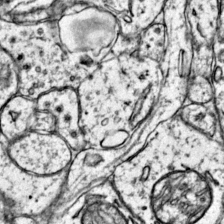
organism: Mouse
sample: Primary visual cortex